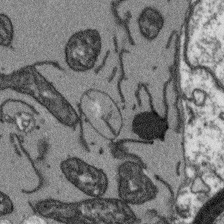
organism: Arabidopsis thaliana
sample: Root tip